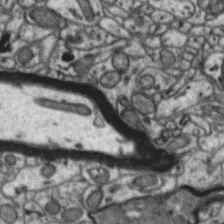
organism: Zebra finch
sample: Brain